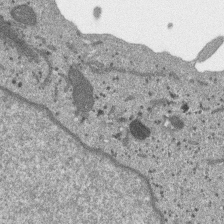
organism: Human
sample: Lung epithelial cells infected with SARS-CoV-2